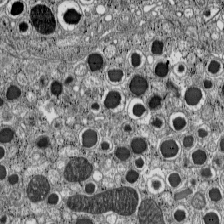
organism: C57BL Mouse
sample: Pancreatic islet